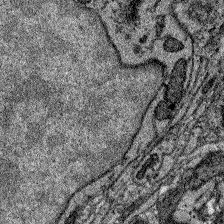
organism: Zebrafish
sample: Larval olfactory bulb